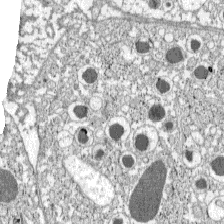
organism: C57BL Mouse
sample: Pancreatic islet